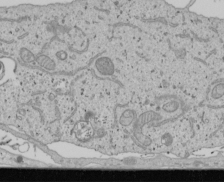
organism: Human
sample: Mitochondria in U2OS cells